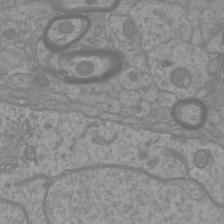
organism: Mouse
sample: Cortical neurons